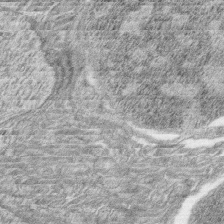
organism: Zebrafish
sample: synaptic ribbons in rod cells and cone cells